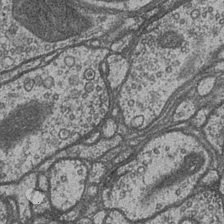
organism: Drosophila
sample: Optic medulla